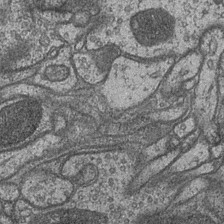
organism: Drosophila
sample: Optic medulla